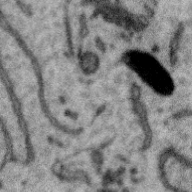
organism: Zebra finch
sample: Brain